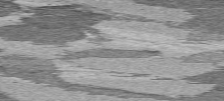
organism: C57BL Mouse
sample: Heart